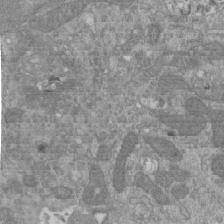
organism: Mouse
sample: ED-1 cell nuclei; centrioles